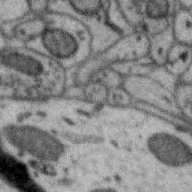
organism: Zebra finch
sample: Brain